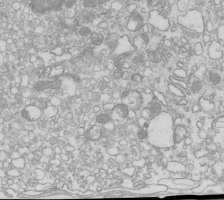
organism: Mouse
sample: Macrophages